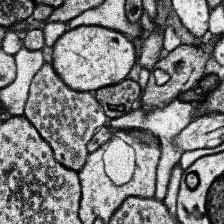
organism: Human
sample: Temporal Lobe